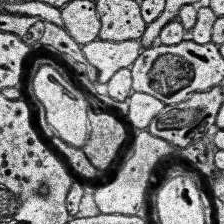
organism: Human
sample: Temporal Lobe